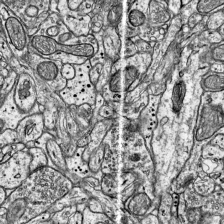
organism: Mouse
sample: Visual Cortex